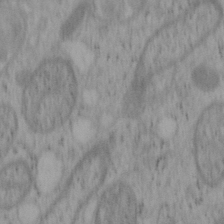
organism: Mouse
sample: OT-I killer T cells with ID8 ovarian cancer cells